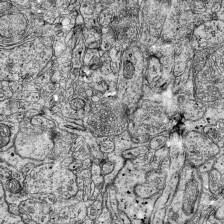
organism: Mouse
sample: Visual Cortex